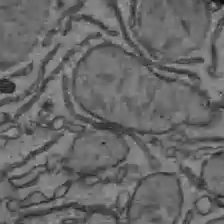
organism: C57BL Mouse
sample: Liver